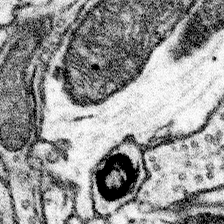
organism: Mouse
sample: Somatosensory cortex neuropil